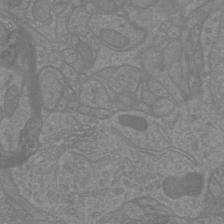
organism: Mouse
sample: Cortical neurons